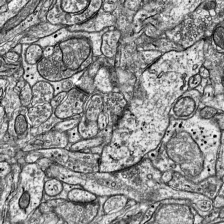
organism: Mouse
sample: Visual Cortex